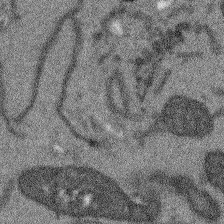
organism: Arabidopsis thaliana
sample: Root tip